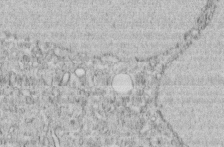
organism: C. elegans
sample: C. elegans embryo early stage